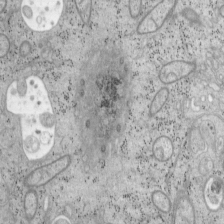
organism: Mouse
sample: OT-I killer T cells with ID8 ovarian cancer cells